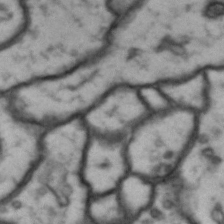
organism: Drosophila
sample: Brain